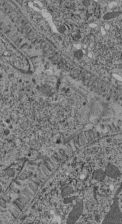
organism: C. elegans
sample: C. elegans pharynx